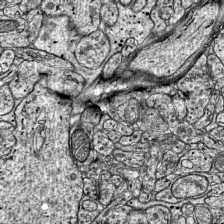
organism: Mouse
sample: Visual Cortex